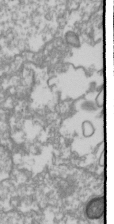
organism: Drosophila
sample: Cell division; meiosis; drosophila spermatocytes